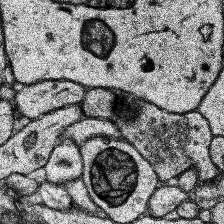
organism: Human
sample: Temporal Lobe